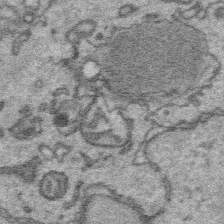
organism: Platynereis dumerilii